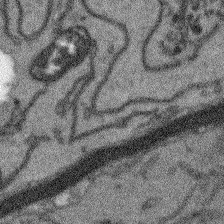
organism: Arabidopsis thaliana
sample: Root tip